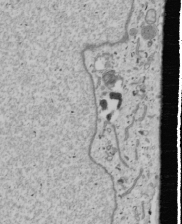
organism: Human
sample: Mitochondria in U2OS cells